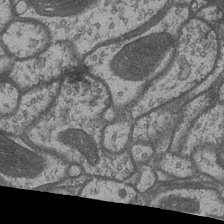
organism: Drosophila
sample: Optic medulla